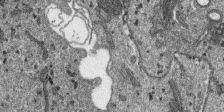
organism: Human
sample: Lung epithelial cells infected with SARS-CoV-2